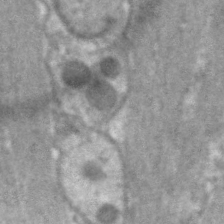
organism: C. elegans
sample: Pharynx